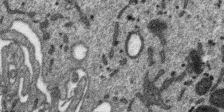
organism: Human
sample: Lung epithelial cells infected with SARS-CoV-2